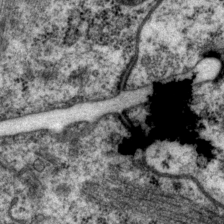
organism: P. pacificus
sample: Pharynx